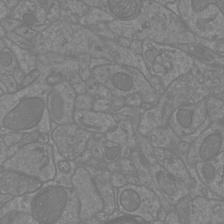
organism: Mouse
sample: Cortical neurons